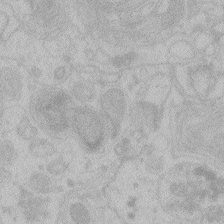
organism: Zebrafish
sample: Macrophage infected with Toxoplasma gondii